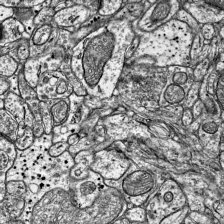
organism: Mouse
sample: Visual Cortex